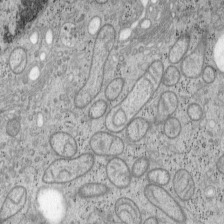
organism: Mouse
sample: OT-I killer T cells with ID8 ovarian cancer cells